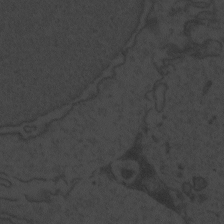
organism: Zebrafish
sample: Macrophage infected with Toxoplasma gondii